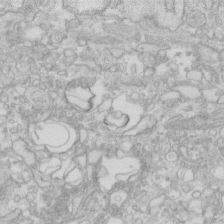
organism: Human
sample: Fibroblast cells